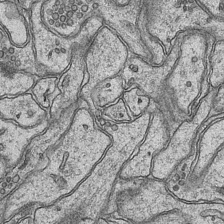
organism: Mouse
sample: CA1 Hippocampus